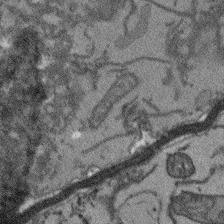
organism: Arabidopsis thaliana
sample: Root tip